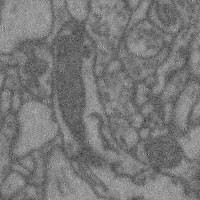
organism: Mouse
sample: Cerebral cortex